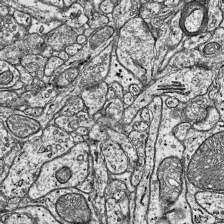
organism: Mouse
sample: Visual Cortex